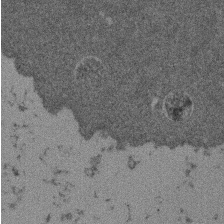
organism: Mouse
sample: Dividing mouse embryo 1 cell stage